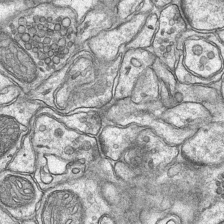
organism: Mouse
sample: CA1 Hippocampus